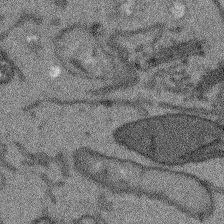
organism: Arabidopsis thaliana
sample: Root tip